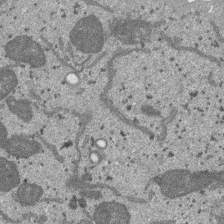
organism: Human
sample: Lung epithelial cells infected with SARS-CoV-2